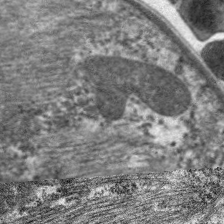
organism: C. elegans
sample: Pharynx